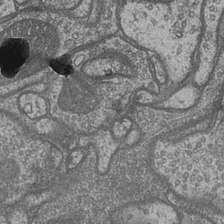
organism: Drosophila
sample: Optic medulla